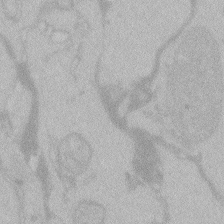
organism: Zebrafish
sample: Macrophage infected with Toxoplasma gondii